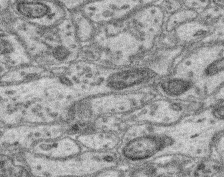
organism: Mouse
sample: Retina